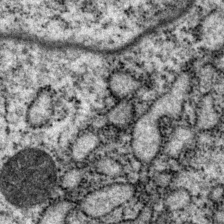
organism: P. pacificus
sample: Pharynx